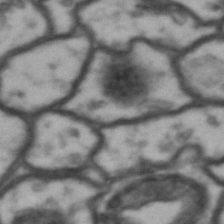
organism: Drosophila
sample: Brain